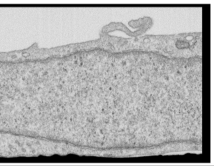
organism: Human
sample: Centriole in RPE cells